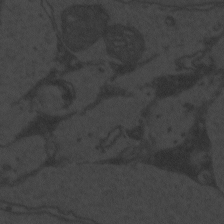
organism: Zebrafish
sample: Macrophage infected with Toxoplasma gondii